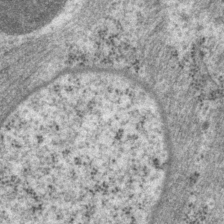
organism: P. pacificus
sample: Pharynx